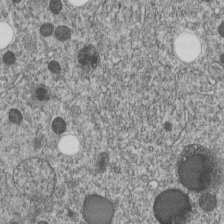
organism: C. elegans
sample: C. elegans embryo early stage